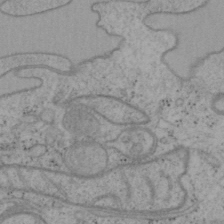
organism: Human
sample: HeLa cells